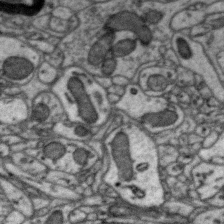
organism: Zebra finch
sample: Brain